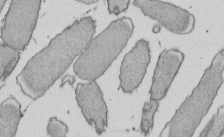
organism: E. coli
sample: Bacterial nucleoid